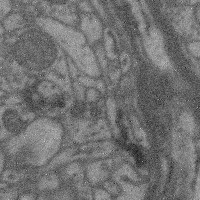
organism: Mouse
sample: Cerebral cortex